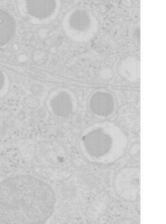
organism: Mouse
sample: Pancreas